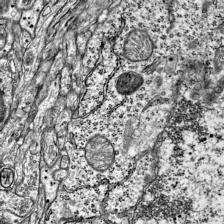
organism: Mouse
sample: Visual Cortex